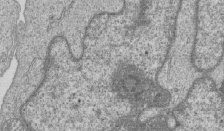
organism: Human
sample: MDA-MB-231 cells